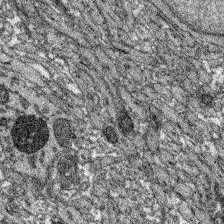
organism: Zebrafish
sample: Larval olfactory bulb